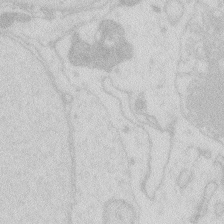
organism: Zebrafish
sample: Macrophage